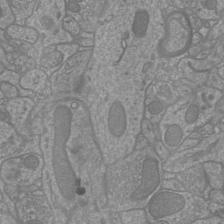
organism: Mouse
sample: Cortical neurons